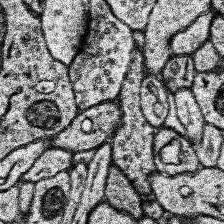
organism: Human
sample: Temporal Lobe